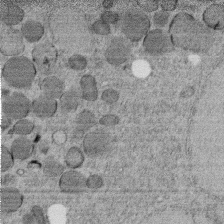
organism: C. elegans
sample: C. elegans embryo early stage